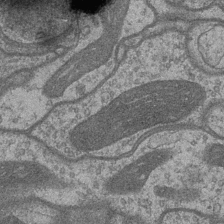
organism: Drosophila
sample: Optic medulla